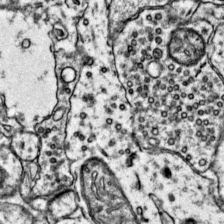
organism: Mouse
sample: Primary visual cortex